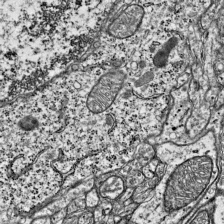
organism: Mouse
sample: Visual Cortex